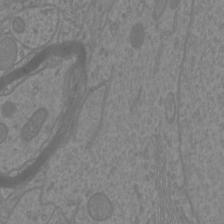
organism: Mouse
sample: Cortical neurons